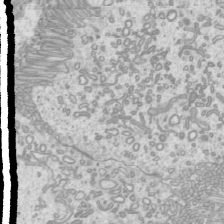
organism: Mouse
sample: Cilia; mouse epididymis